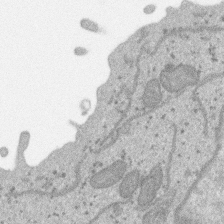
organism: Human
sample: Lung epithelial cells infected with SARS-CoV-2